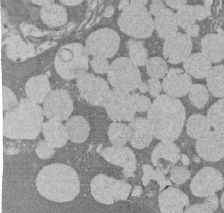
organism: Rat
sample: Salivary granule